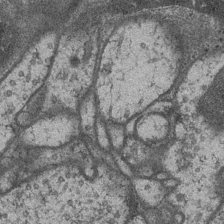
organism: Drosophila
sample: Optic medulla